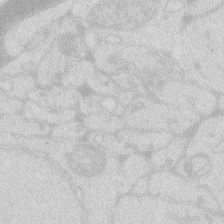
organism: Zebrafish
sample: Macrophage